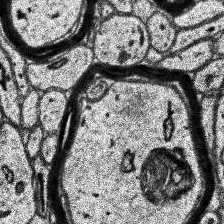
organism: Human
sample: Temporal Lobe